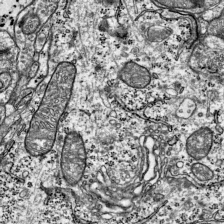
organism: Mouse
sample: Visual Cortex